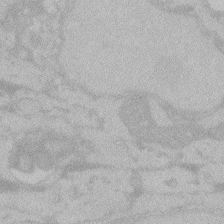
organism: Zebrafish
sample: Macrophage infected with Toxoplasma gondii